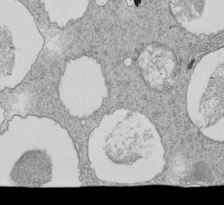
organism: Tetrahymena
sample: Cilia in tetrahymena